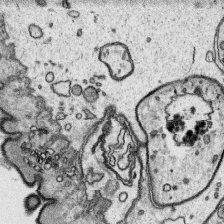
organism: Platynereis dumerilii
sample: Parapodia